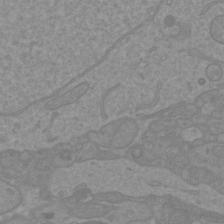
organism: Mouse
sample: Cortical neurons